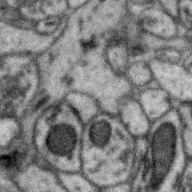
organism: Zebra finch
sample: Brain